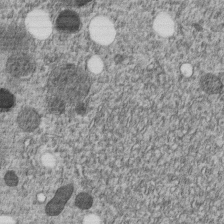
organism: C. elegans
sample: C. elegans embryo early stage